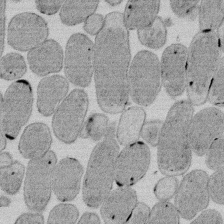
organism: E. coli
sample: Bacterial nucleoid